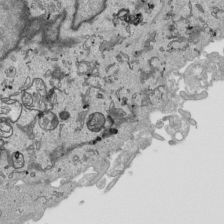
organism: Human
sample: Mitochondria in HCT116 cells